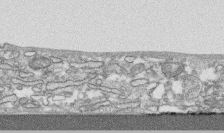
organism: Human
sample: CRL-1474